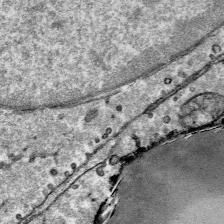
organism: Mouse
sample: Mouse Salivary gland